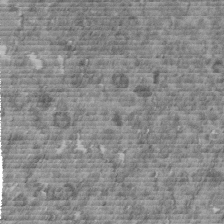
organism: C. elegans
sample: C. elegans embryo early stage